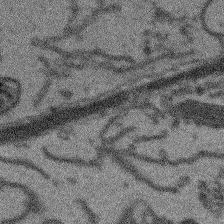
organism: Arabidopsis thaliana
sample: Root tip